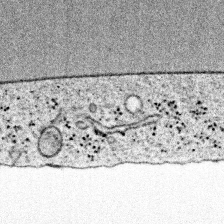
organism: Human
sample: HeLa cells